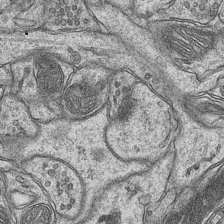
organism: Mouse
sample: CA1 Hippocampus